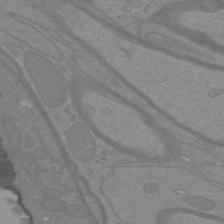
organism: Mouse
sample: Cortical neurons